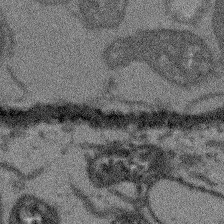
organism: Arabidopsis thaliana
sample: Root tip